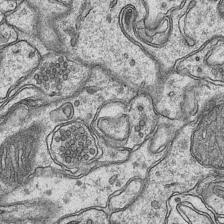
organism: Mouse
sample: CA1 Hippocampus